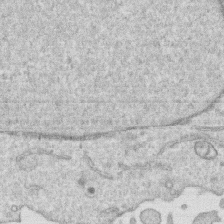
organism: Human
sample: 1205lu cells